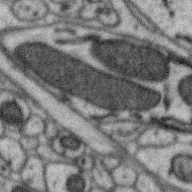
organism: Zebra finch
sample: Brain